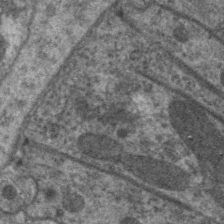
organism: C. elegans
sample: Pharynx